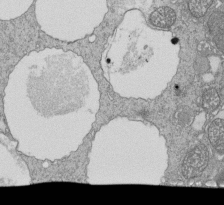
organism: Tetrahymena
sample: Cilia in tetrahymena